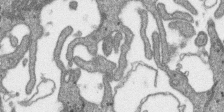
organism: Human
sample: Lung epithelial cells infected with SARS-CoV-2